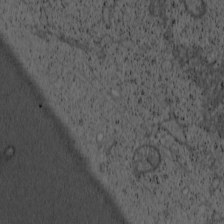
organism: African green monkey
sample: COS-7 cells